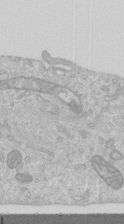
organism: Human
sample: Centriole in RPE cells